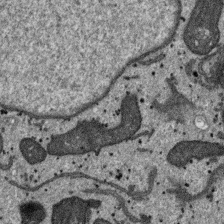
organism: Human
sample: Lung epithelial cells, uninfected (mock) control